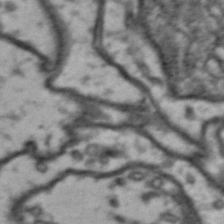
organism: Drosophila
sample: Brain